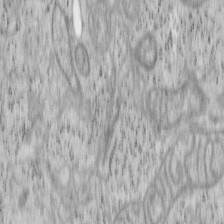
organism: Human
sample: HeLa cells